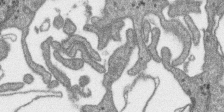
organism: Human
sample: Lung epithelial cells infected with SARS-CoV-2